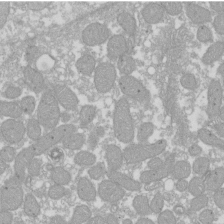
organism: Xenopus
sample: Cilia; centrioles in frog embryo cells